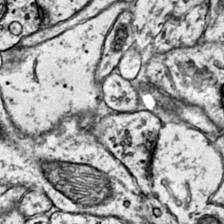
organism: Mouse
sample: Primary visual cortex